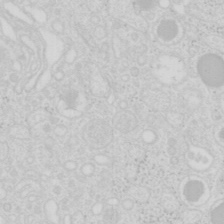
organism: Mouse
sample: Pancreas